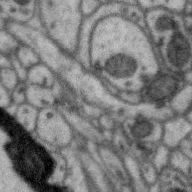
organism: Zebra finch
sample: Brain